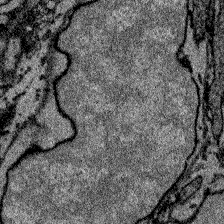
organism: Zebrafish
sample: Larval olfactory bulb